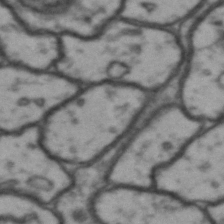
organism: Drosophila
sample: Brain